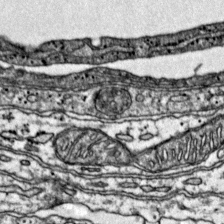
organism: Mouse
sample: Primary visual cortex